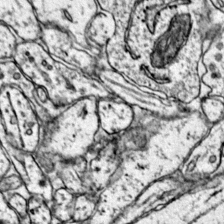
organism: Mouse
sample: Primary visual cortex